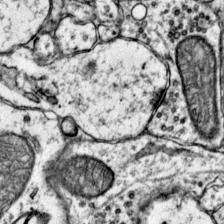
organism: Mouse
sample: Primary visual cortex